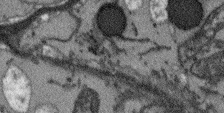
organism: Arabidopsis thaliana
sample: Root tip